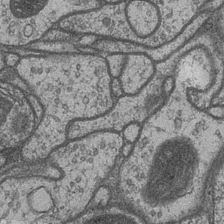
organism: Drosophila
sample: Optic medulla